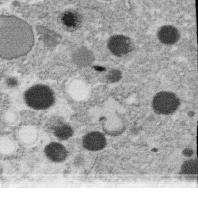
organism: C. elegans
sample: C. elegans oocyte; sperm cells